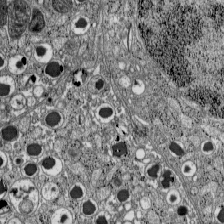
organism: C57BL Mouse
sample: Pancreatic islet